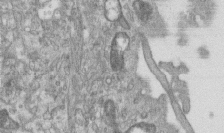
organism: Human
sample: Centriole in RPE cells